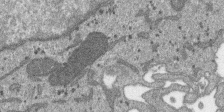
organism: Human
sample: Lung epithelial cells infected with SARS-CoV-2